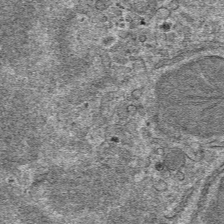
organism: Mouse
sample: Mouse hepatocytes